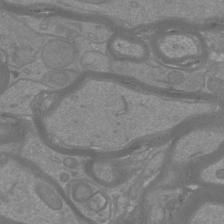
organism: Mouse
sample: Cortical neurons